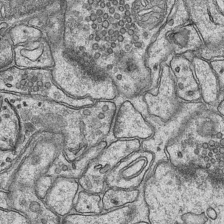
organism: Mouse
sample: CA1 Hippocampus